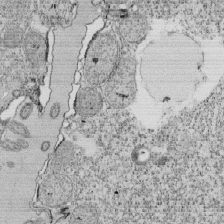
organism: Tetrahymena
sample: Cilia in tetrahymena